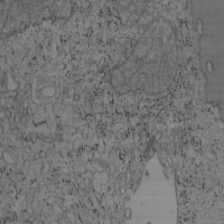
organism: Mouse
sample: OT-I killer T cells with ID8 ovarian cancer cells